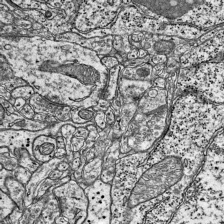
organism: Mouse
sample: Visual Cortex